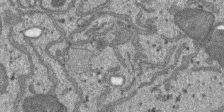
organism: Human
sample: Lung epithelial cells infected with SARS-CoV-2